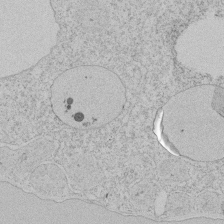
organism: Tetrahymena